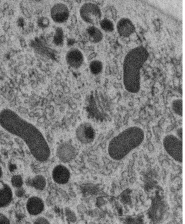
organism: C. elegans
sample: C. elegans oocyte; sperm cells